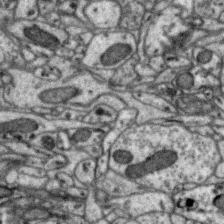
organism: Zebra finch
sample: Brain